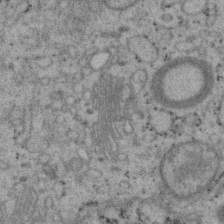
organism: Human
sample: HeLa cells